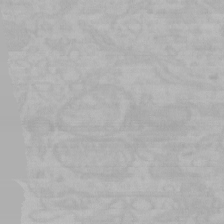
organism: Mouse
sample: Choroid plexus